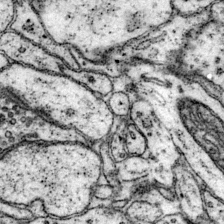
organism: Mouse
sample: Primary visual cortex